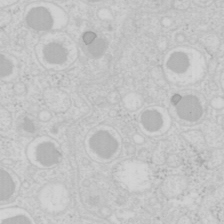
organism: Mouse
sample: Pancreas